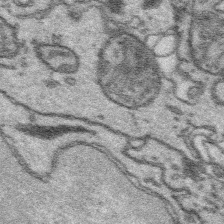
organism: Platynereis dumerilii